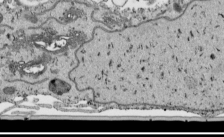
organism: Human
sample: Mitochondria in HCT116 cells